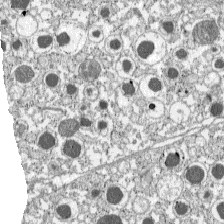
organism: C57BL Mouse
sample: Pancreatic islet